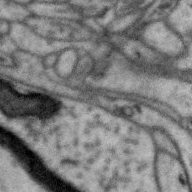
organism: Zebra finch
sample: Brain